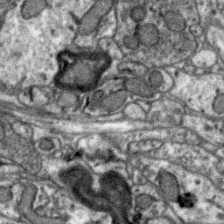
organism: Zebra finch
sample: Brain